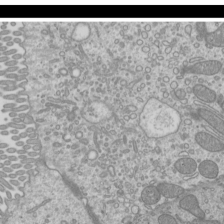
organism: Mouse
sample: Cilia; mouse epididymis